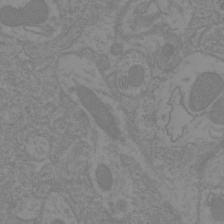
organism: Mouse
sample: Cortical neurons